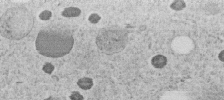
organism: C. elegans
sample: C. elegans embryo early stage